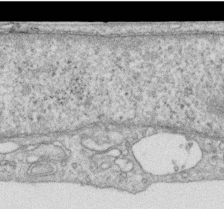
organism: Human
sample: Centriole in RPE cells